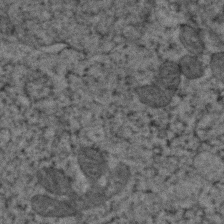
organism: Zebrafish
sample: Zebrafish embryo